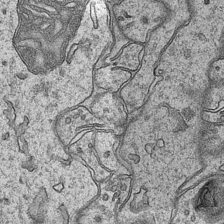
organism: Mouse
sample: CA1 Hippocampus